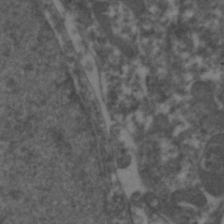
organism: Zebrafish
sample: Zebrafish embryo